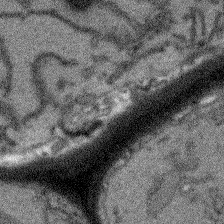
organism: Arabidopsis thaliana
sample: Root tip